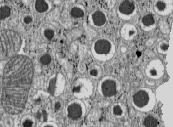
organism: C57BL Mouse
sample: Pancreatic islet